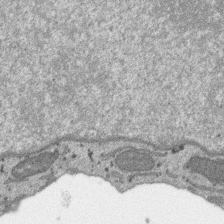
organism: Human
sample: Lung epithelial cells infected with SARS-CoV-2